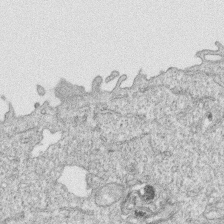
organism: Human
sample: HeLa cell HIV synapse